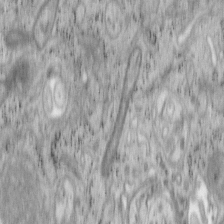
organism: Human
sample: HeLa cells